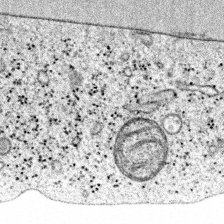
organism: Human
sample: HeLa cells